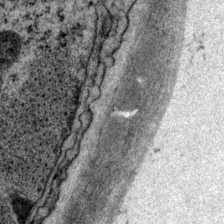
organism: P. pacificus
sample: Pharynx